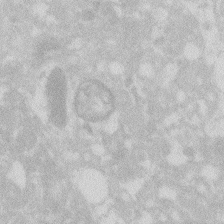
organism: Zebrafish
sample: Macrophage